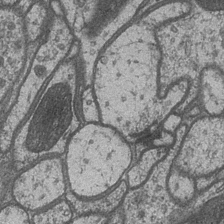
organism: Drosophila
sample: Optic medulla